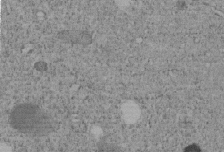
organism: C. elegans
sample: C. elegans embryo early stage